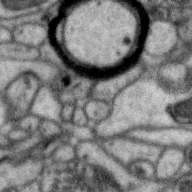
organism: Zebra finch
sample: Brain